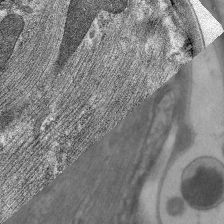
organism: C. elegans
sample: Pharynx